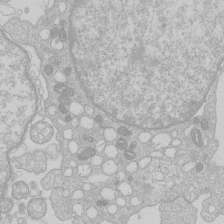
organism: Human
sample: Macrophage cells